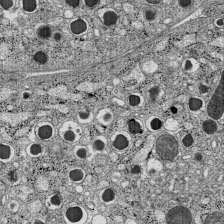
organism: C57BL Mouse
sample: Pancreatic islet